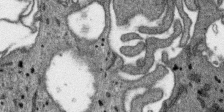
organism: Human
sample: Lung epithelial cells, uninfected (mock) control